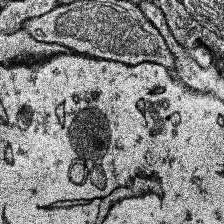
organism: Human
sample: Temporal Lobe